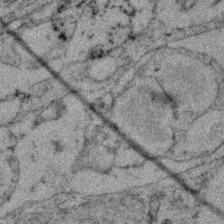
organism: Zebrafish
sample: Zebrafish embryo